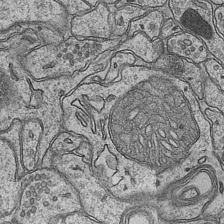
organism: Mouse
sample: CA1 Hippocampus